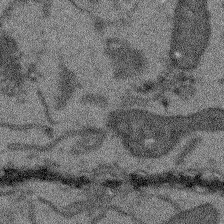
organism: Arabidopsis thaliana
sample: Root tip